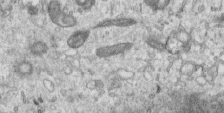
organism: Human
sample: Centriole in RPE cells